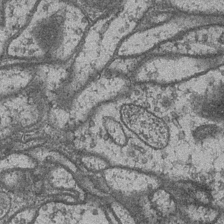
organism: Drosophila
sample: Optic medulla